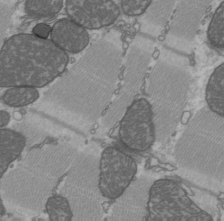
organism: C57BL Mouse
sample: Heart